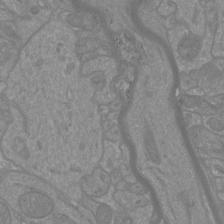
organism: Mouse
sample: Cortical neurons